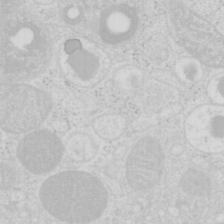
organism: Mouse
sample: Pancreas